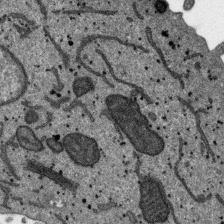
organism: Human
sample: Lung epithelial cells, uninfected (mock) control